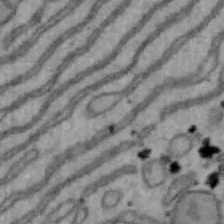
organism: Mouse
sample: Liver